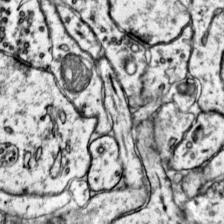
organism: Mouse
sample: Primary visual cortex